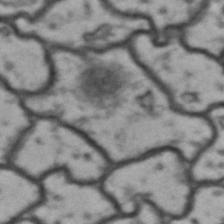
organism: Drosophila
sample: Brain